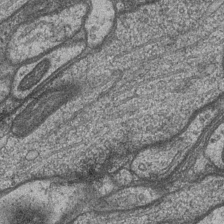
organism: Drosophila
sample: Optic medulla